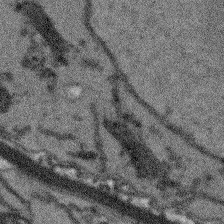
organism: Arabidopsis thaliana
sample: Root tip